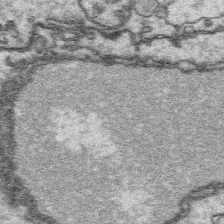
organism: Platynereis dumerilii